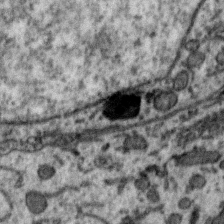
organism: Zebra finch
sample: Brain